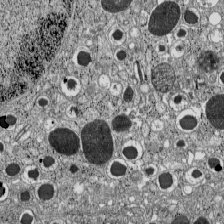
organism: C57BL Mouse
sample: Pancreatic islet